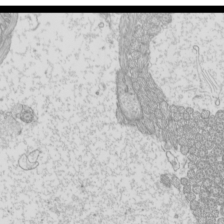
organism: Mouse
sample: Cilia; mouse epididymis